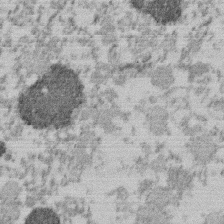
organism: Mouse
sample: Dividing mouse embryo 1 cell stage